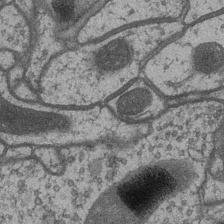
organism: Drosophila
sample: Optic medulla